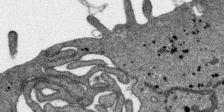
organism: Human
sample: Lung epithelial cells, uninfected (mock) control